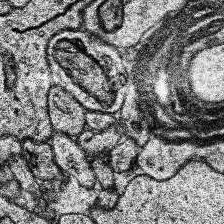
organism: Human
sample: Temporal Lobe